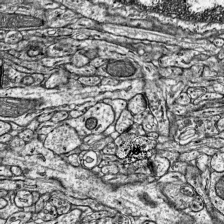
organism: Mouse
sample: Visual Cortex